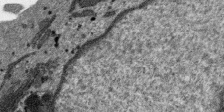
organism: Human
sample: Lung epithelial cells, uninfected (mock) control